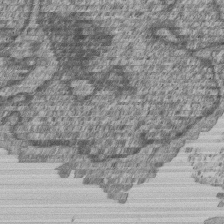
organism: Human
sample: MDA-MB-231 cells